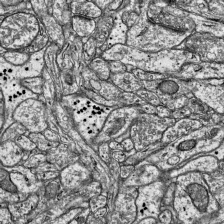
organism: Mouse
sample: Visual Cortex